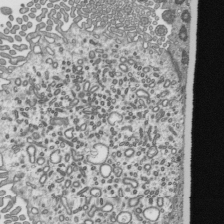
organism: Mouse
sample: Mouse epididymis efferent ductule cilia